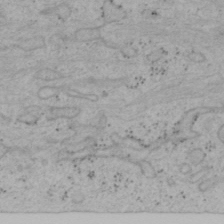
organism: Human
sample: HeLa cells